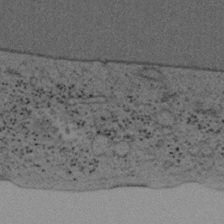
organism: Human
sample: HeLa cells